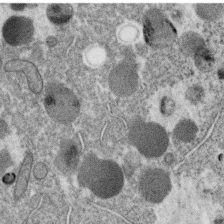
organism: C. elegans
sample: C. elegans oocyte; sperm cells